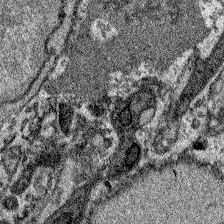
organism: Zebrafish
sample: Larval olfactory bulb